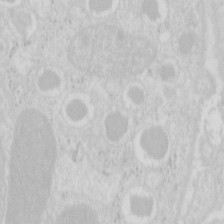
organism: Mouse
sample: Pancreas